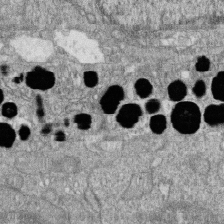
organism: Zebrafish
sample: Cilia; retinal pigment epithelium